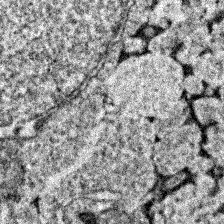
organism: Zebrafish